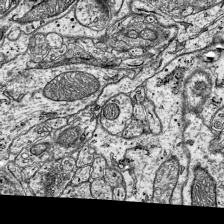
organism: Mouse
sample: Visual Cortex